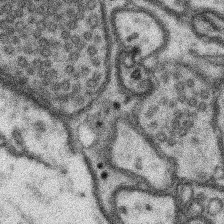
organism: Mouse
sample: Somatosensory cortex neuropil